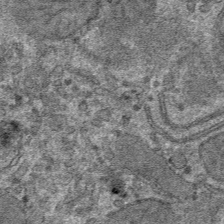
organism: Mouse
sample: Mouse hepatocytes